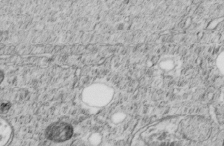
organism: C. elegans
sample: C. elegans embryo early stage